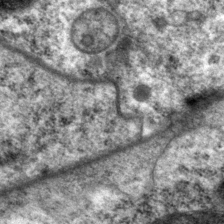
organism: P. pacificus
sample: Pharynx